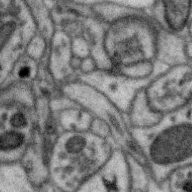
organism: Zebra finch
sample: Brain